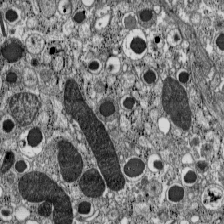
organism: C57BL Mouse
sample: Pancreatic islet